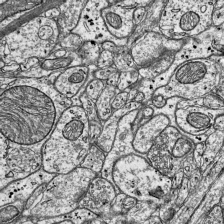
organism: Mouse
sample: Visual Cortex